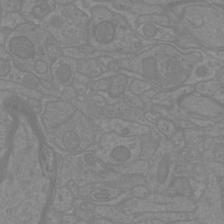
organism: Mouse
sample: Cortical neurons